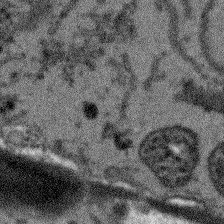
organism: Arabidopsis thaliana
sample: Root tip